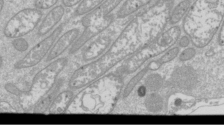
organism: Drosophila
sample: Cell division; meiosis; drosophila spermatocytes